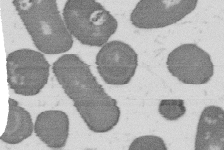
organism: B. subtilis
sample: Bacterial spore